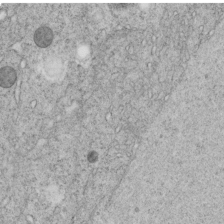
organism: C. elegans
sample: C. elegans embryo early stage